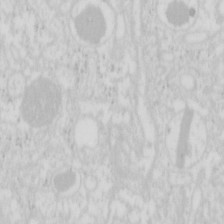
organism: Mouse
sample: Pancreas